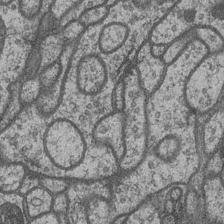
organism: Drosophila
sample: Optic medulla